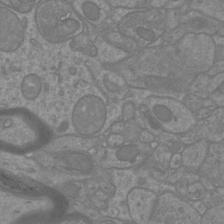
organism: Mouse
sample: Cortical neurons